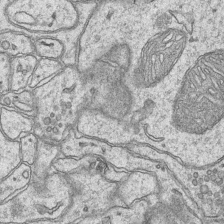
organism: Mouse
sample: CA1 Hippocampus